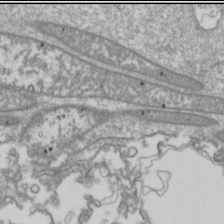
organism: Drosophila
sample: Cell division; meiosis; drosophila spermatocytes